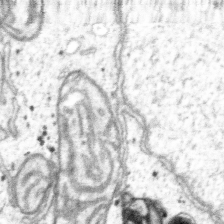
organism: Human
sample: HeLa cells